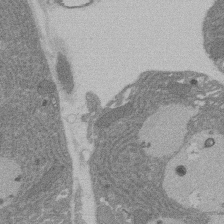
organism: Rat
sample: Salivary granule